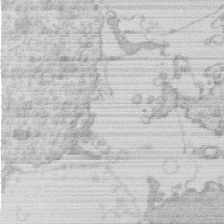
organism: Human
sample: Macrophage cells